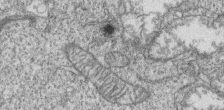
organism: Human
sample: HeLa cell HIV synapse